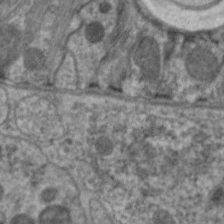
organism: C. elegans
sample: Pharynx